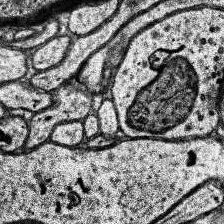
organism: Human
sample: Temporal Lobe